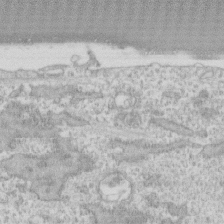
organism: Human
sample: CRL-1474